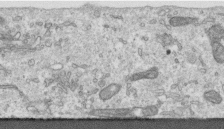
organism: Human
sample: Centriole in RPE cells